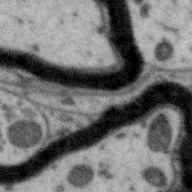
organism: Zebra finch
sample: Brain